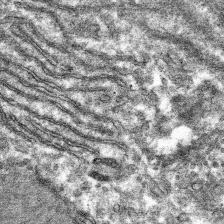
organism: Mouse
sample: Mouse hepatocytes